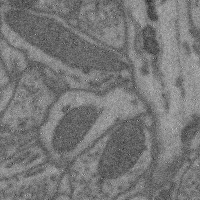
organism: Mouse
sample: Cerebral cortex